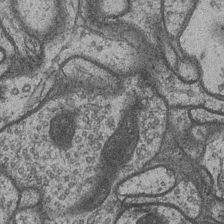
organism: Drosophila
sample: Optic medulla